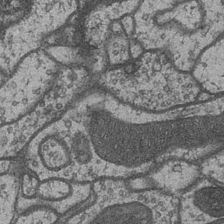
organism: Drosophila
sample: Optic medulla